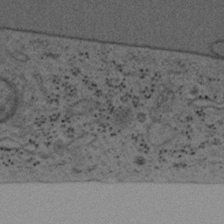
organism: Human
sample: HeLa cells